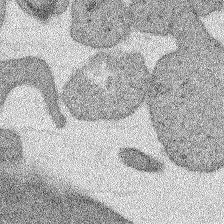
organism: Human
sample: HeLa cells